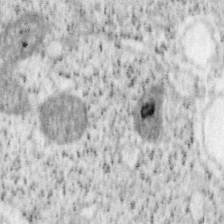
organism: Mouse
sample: OT-I killer T cells with ID8 ovarian cancer cells